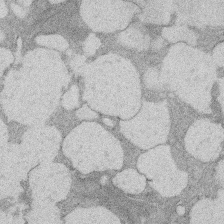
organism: Rat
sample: Salivary granule